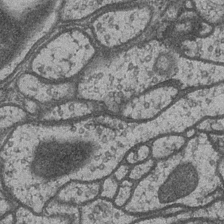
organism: Drosophila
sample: Optic medulla